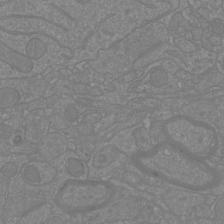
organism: Mouse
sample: Cortical neurons